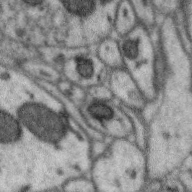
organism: Zebra finch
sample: Brain